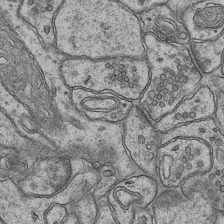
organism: Mouse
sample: CA1 Hippocampus